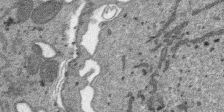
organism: Human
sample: Lung epithelial cells infected with SARS-CoV-2